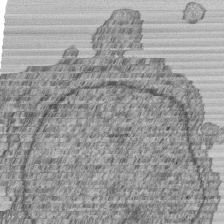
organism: Human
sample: MDA-MB-231 cells